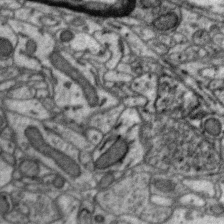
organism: Zebra finch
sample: Brain